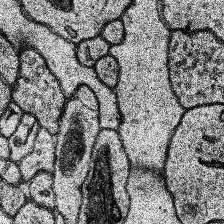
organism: Human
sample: Temporal Lobe